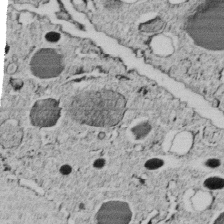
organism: C. elegans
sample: C. elegans embryo early stage